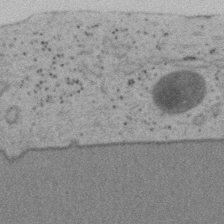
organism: Human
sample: HeLa cells